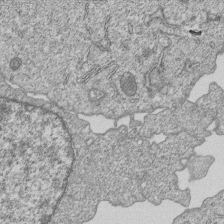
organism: Human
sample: MDA-MB-231 cells